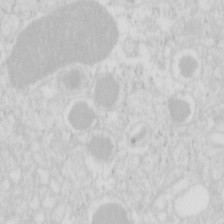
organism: Mouse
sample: Pancreas